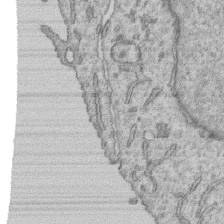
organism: Human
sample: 1205lu cells